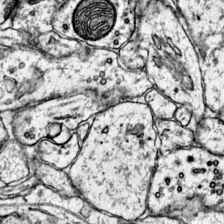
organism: Mouse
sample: Primary visual cortex